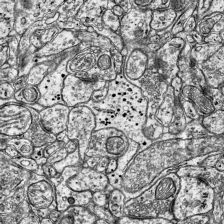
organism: Mouse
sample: Visual Cortex